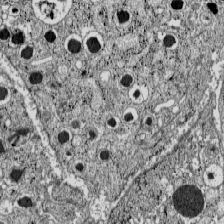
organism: C57BL Mouse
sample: Pancreatic islet